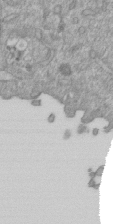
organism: Mouse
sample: ED-1 cell nuclei; centrioles